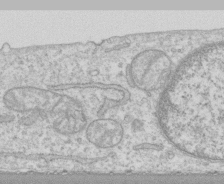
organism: Human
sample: CRL-1474